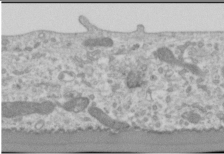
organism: Human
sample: Cilia; basal body in RPE cells